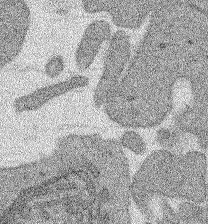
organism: Human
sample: HeLa cells